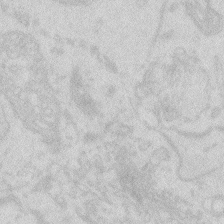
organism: Zebrafish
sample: Macrophage